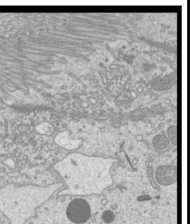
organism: Mouse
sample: Cilia; mouse epididymis